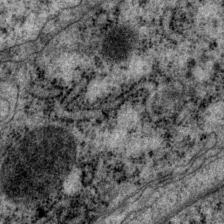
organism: P. pacificus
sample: Pharynx